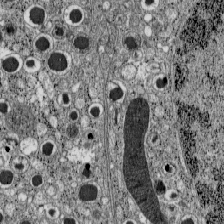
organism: C57BL Mouse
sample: Pancreatic islet